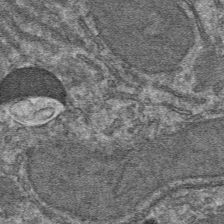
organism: Mouse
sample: Mouse hepatocytes